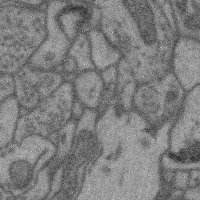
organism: Mouse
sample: Cerebral cortex